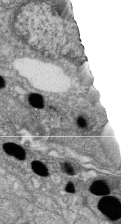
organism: Zebrafish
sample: Cilia; retinal pigment epithelium